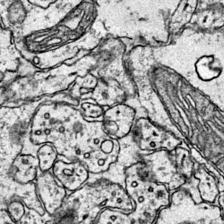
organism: Mouse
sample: Primary visual cortex